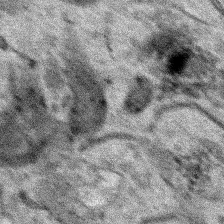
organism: Human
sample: Mitochondria in HCT116 cells